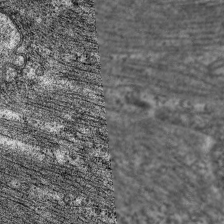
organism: C. elegans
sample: Pharynx